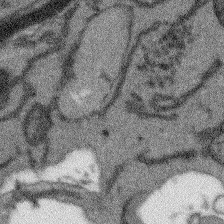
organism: Arabidopsis thaliana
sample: Root tip